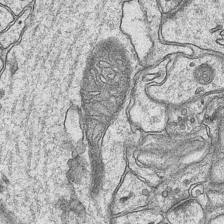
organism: Mouse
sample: CA1 Hippocampus